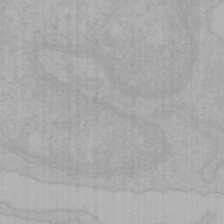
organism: Mouse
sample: Choroid plexus